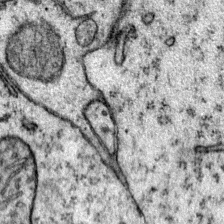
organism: Mouse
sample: Primary visual cortex